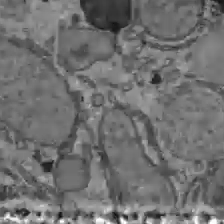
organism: C57BL Mouse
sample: Liver